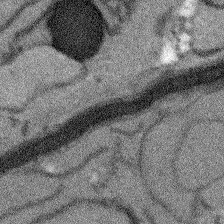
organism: Arabidopsis thaliana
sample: Root tip